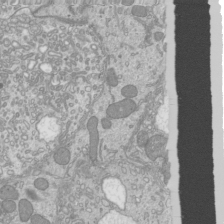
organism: Mouse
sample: Cilia; mouse epididymis